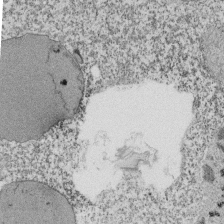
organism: Tetrahymena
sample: Cilia in tetrahymena